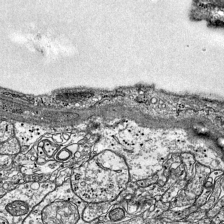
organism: Mouse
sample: Visual Cortex